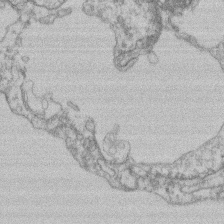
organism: Mouse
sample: T cell stromal cell synapse